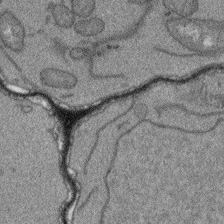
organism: Arabidopsis thaliana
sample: Root tip